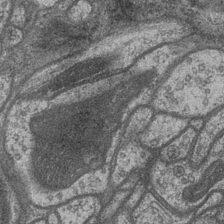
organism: Drosophila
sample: Optic medulla